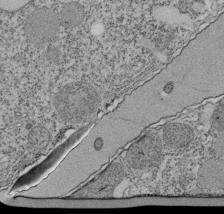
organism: Tetrahymena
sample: Cilia in tetrahymena